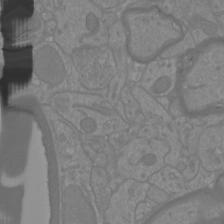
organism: Mouse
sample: Cortical neurons